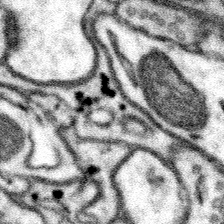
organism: Mouse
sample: Somatosensory cortex neuropil